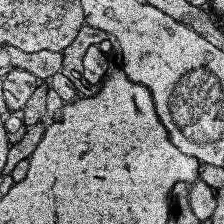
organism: Human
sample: Temporal Lobe